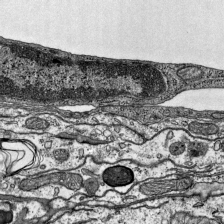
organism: Mouse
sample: Visual Cortex